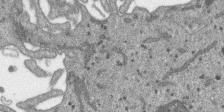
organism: Human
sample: Lung epithelial cells infected with SARS-CoV-2